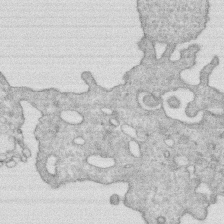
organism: Human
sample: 1205lu cells